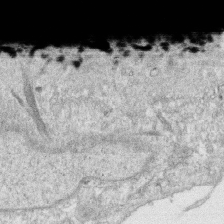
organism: Human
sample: HeLa cell HIV synapse